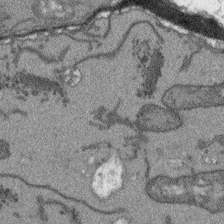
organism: Arabidopsis thaliana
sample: Root tip